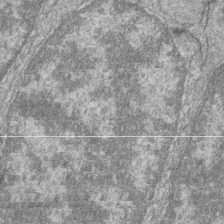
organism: Zebrafish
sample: Cilia; retinal pigment epithelium